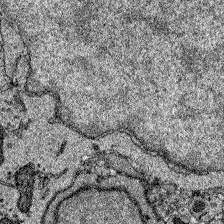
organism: Zebrafish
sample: Larval olfactory bulb